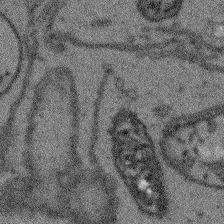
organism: Arabidopsis thaliana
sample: Root tip